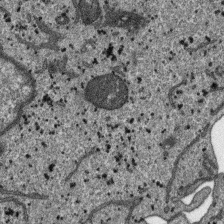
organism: Human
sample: Lung epithelial cells infected with SARS-CoV-2